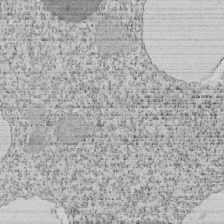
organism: Tetrahymena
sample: Cilia in tetrahymena